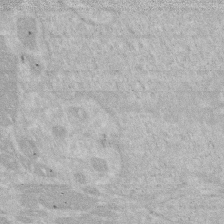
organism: Human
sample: HIV infected U937 cells